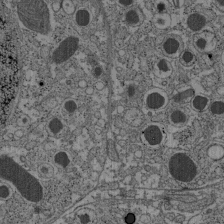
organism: C57BL Mouse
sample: Pancreatic islet